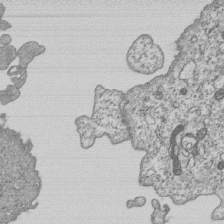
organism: Human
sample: MDA-MB-231 cells